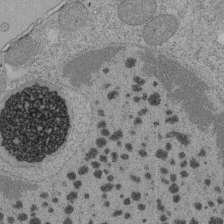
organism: Tetrahymena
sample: Cilia in tetrahymena